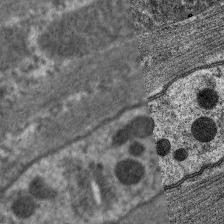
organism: C. elegans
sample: Pharynx